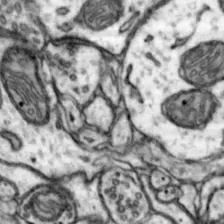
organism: Mouse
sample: Nucleus accumbens